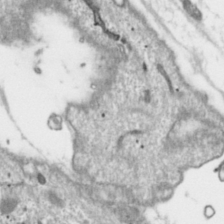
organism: Toxoplasma gondii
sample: Parasites in a vacuole inside a host cell